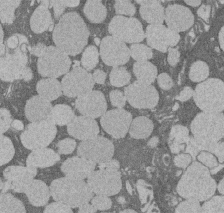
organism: Rat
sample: Salivary granule